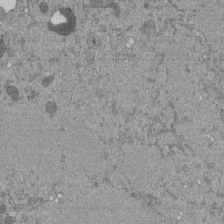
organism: Mouse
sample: ED-1 cell nuclei; centrioles